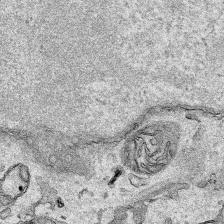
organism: Human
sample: Mitochondria in HCT116 cells